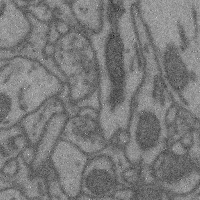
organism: Mouse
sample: Cerebral cortex